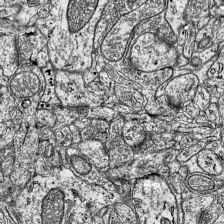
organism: Mouse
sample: Visual Cortex